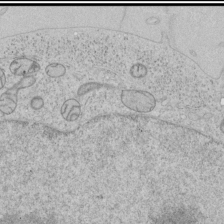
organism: Human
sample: Mitochondria in HCT116 cells